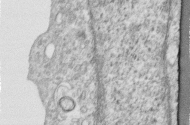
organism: Human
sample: Centriole in RPE cells